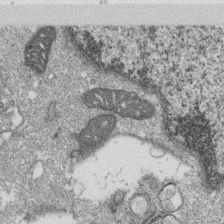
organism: African green monkey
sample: Vero E6 cells infected with SARS-CoV-2